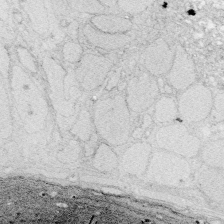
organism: Zebrafish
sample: Whole-Brain